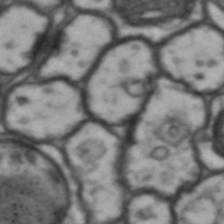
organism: Drosophila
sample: Brain